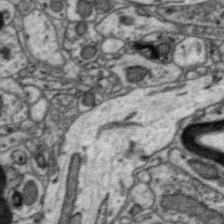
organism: Zebra finch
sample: Brain